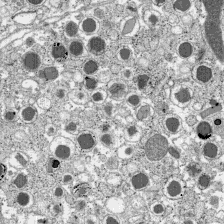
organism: C57BL Mouse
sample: Pancreatic islet